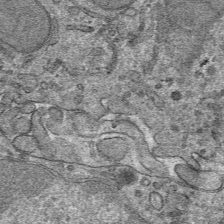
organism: Mouse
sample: Mouse hepatocytes